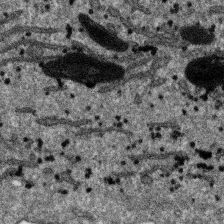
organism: Human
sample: Lung epithelial cells infected with SARS-CoV-2